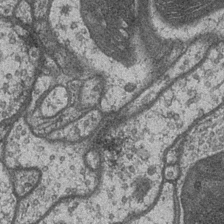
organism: Drosophila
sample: Optic medulla